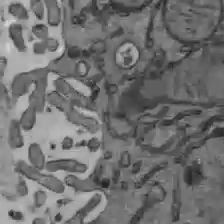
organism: C57BL Mouse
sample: Liver